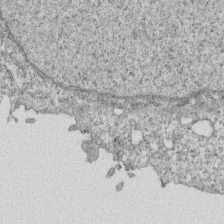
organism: Human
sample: HeLa cell HIV synapse